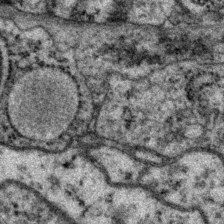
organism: P. pacificus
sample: Pharynx